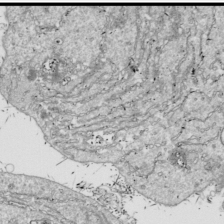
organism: Drosophila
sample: Cell division; meiosis; drosophila spermatocytes